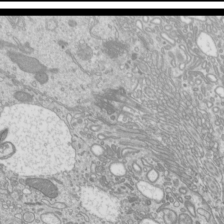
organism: Mouse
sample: Cilia; mouse epididymis